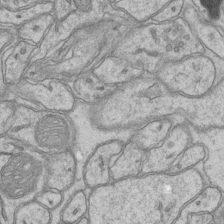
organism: Mouse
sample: CA1 Hippocampus